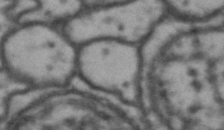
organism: Drosophila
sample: Brain